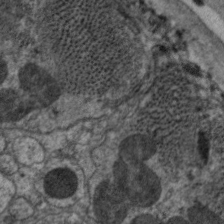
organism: C. elegans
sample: Pharynx